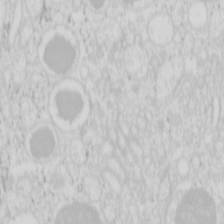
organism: Mouse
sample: Pancreas